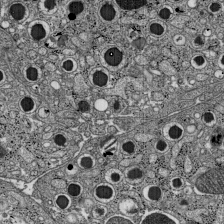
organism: C57BL Mouse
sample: Pancreatic islet